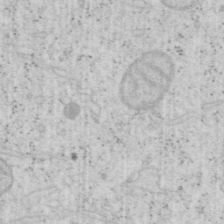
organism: Human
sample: HeLa cells